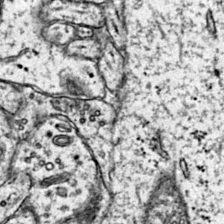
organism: Mouse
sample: Primary visual cortex